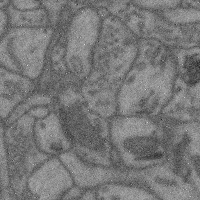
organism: Mouse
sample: Cerebral cortex